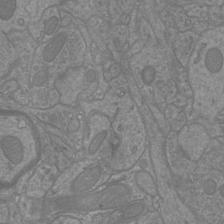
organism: Mouse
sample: Cortical neurons